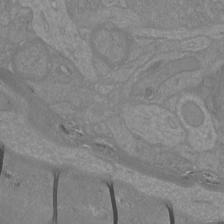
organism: Mouse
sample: Cortical neurons